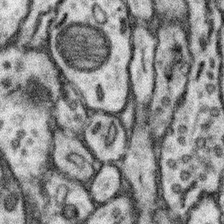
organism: Mouse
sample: Somatosensory cortex neuropil